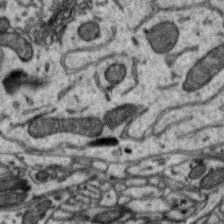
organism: Zebra finch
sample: Brain